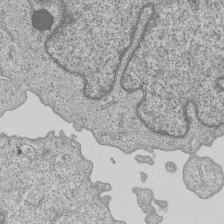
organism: Human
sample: MDA-MB-231 cells